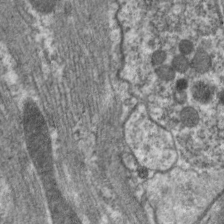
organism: C. elegans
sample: Pharynx